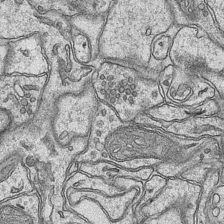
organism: Mouse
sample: CA1 Hippocampus